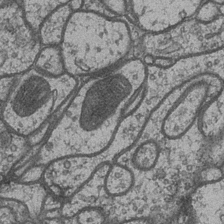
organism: Drosophila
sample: Optic medulla